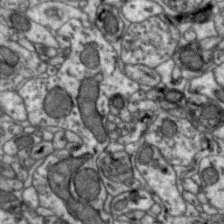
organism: Zebra finch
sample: Brain